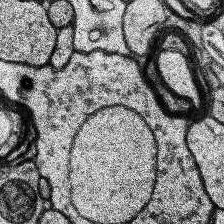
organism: Human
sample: Temporal Lobe